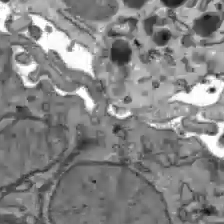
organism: C57BL Mouse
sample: Liver